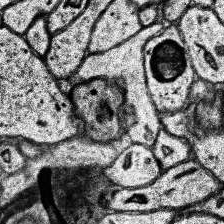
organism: Human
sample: Temporal Lobe